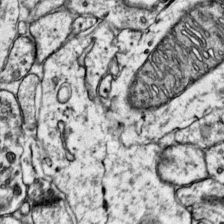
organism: Mouse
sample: Primary visual cortex